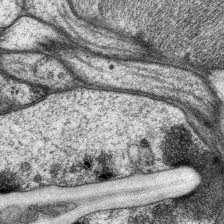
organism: P. pacificus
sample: Pharynx